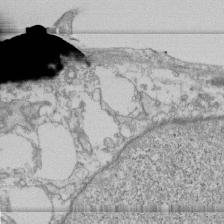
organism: Human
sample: Fibroblast cells